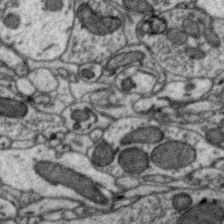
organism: Zebra finch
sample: Brain